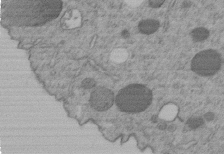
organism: C. elegans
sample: C. elegans embryo early stage